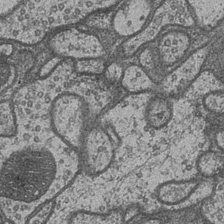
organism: Drosophila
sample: Optic medulla